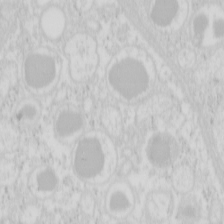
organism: Mouse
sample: Pancreas